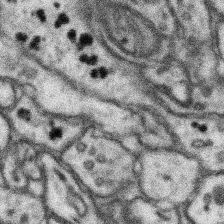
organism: Mouse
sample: Somatosensory cortex neuropil